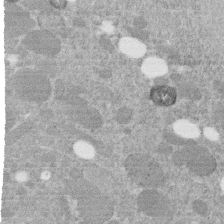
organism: C. elegans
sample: C. elegans embryo early stage